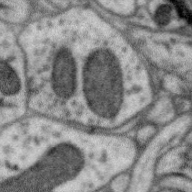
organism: Zebra finch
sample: Brain